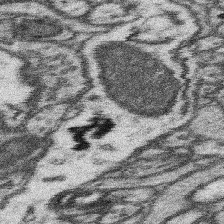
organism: Mouse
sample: Somatosensory cortex neuropil